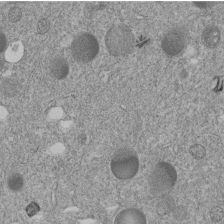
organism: C. elegans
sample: C. elegans embryo early stage